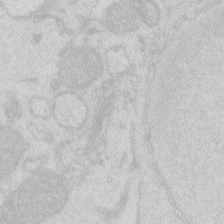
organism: Zebrafish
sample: Macrophage